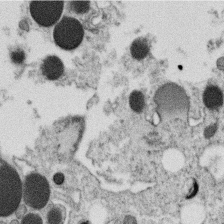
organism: C. elegans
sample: C. elegans oocyte; sperm cells